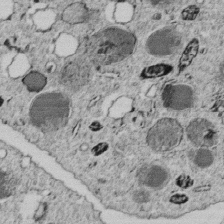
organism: C. elegans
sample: C. elegans embryo early stage